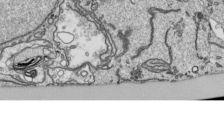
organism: Human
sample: Mitochondria in HCT116 cells